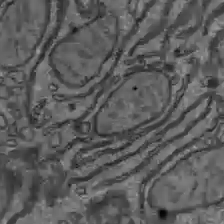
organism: C57BL Mouse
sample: Liver